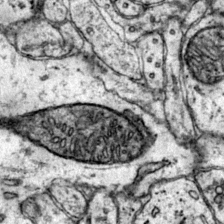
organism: Mouse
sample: Primary visual cortex